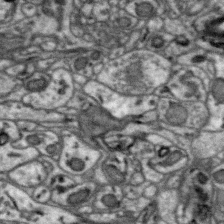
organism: Zebra finch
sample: Brain